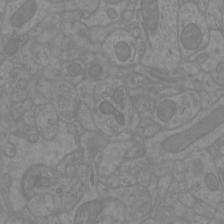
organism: Mouse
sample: Cortical neurons